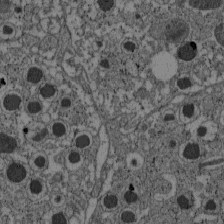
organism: C57BL Mouse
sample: Pancreatic islet